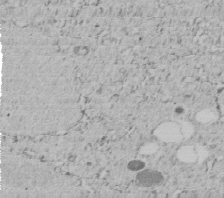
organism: C. elegans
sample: C. elegans embryo early stage